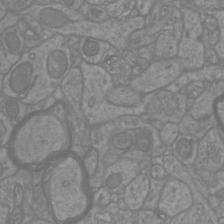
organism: Mouse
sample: Cortical neurons